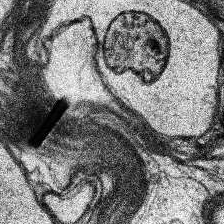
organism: Human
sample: Temporal Lobe